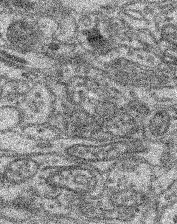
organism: Mouse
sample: Retina